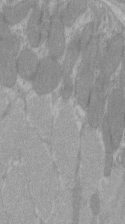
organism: C57BL Mouse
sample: Tibialis anterior muscle cell